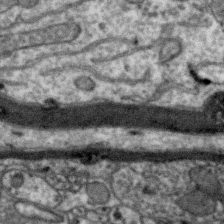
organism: Zebra finch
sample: Brain